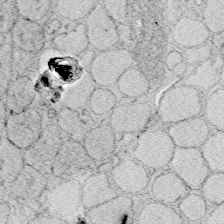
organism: Zebrafish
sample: Whole-Brain